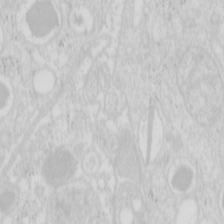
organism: Mouse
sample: Pancreas